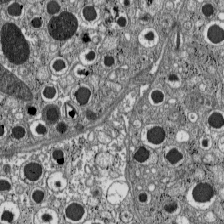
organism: C57BL Mouse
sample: Pancreatic islet